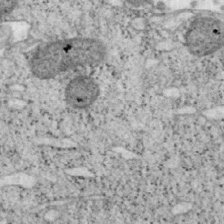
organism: Mouse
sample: OT-I killer T cells with ID8 ovarian cancer cells